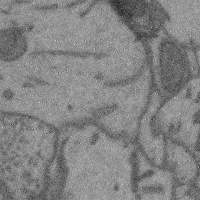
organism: Mouse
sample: Cerebral cortex